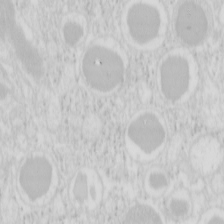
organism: Mouse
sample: Pancreas